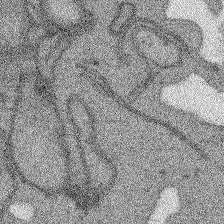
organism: Human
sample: HeLa cells